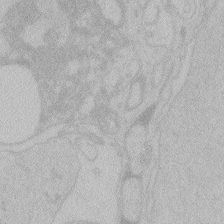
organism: Zebrafish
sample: Macrophage infected with Toxoplasma gondii